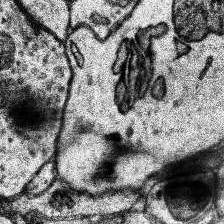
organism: Human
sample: Temporal Lobe